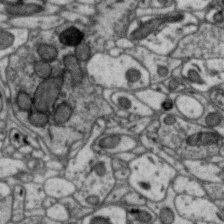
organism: Zebra finch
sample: Brain